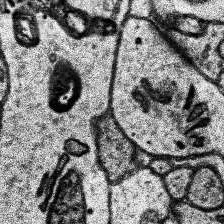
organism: Human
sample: Temporal Lobe